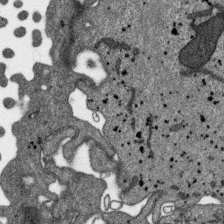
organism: Human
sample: Lung epithelial cells, uninfected (mock) control